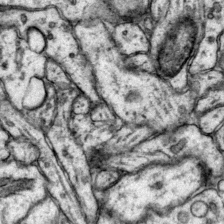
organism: Mouse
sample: Primary visual cortex